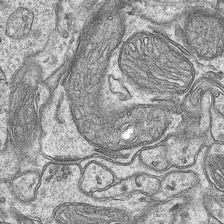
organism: Mouse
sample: CA1 Hippocampus